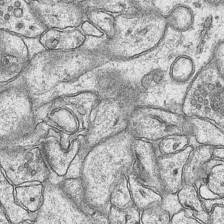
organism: Mouse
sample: CA1 Hippocampus